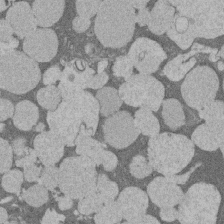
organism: Rat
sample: Salivary granule